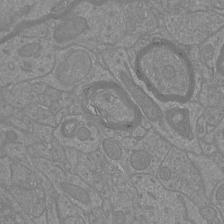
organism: Mouse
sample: Cortical neurons